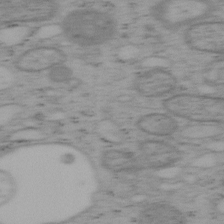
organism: Mouse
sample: OT-I killer T cells with ID8 ovarian cancer cells